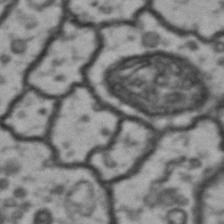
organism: Drosophila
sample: Brain